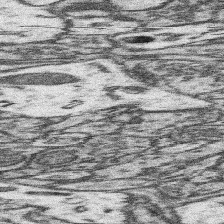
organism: Mouse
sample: Somatosensory cortex neuropil